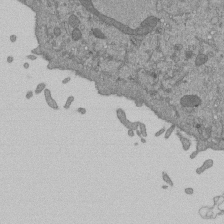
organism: Mouse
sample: ED-1 cell nuclei; centrioles